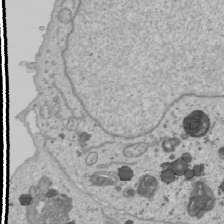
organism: Human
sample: Mitochondria in U2OS cells